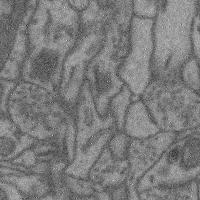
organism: Mouse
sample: Cerebral cortex